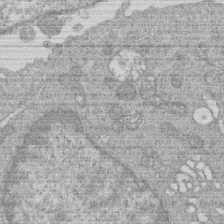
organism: Human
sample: Macrophage cells